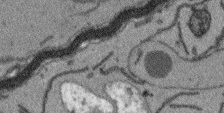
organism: Arabidopsis thaliana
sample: Root tip